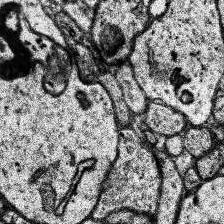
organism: Human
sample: Temporal Lobe